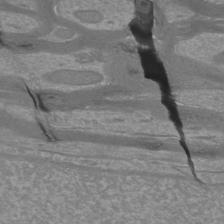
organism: Mouse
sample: Cortical neurons